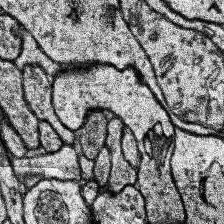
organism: Human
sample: Temporal Lobe